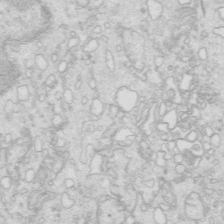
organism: Mouse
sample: Multiciliated cells